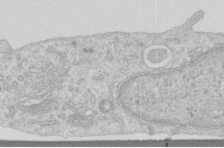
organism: Human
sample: Centriole in RPE cells